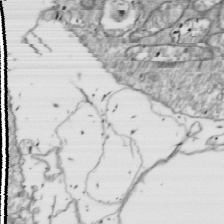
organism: Drosophila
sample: Cell division; meiosis; drosophila spermatocytes